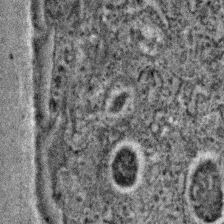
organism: C. elegans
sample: C. elegans embryo